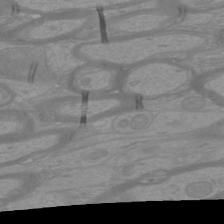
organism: Mouse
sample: Cortical neurons